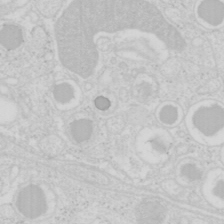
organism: Mouse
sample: Pancreas